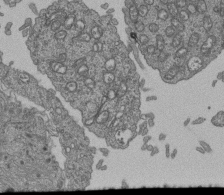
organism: Human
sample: Retinal organoid Rod and Cone cells